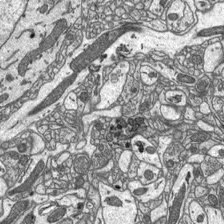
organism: C57BL Mouse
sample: Optic nerve head